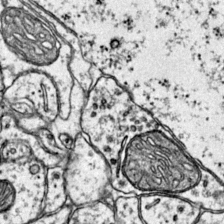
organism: Mouse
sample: Primary visual cortex